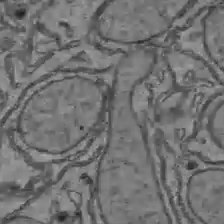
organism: C57BL Mouse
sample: Liver